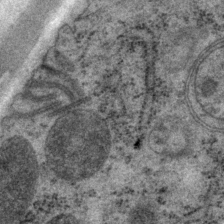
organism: P. pacificus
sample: Pharynx